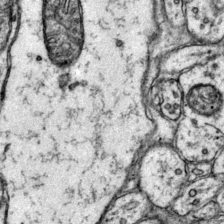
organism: Mouse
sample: Primary visual cortex